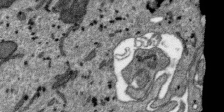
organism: Human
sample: Lung epithelial cells, uninfected (mock) control